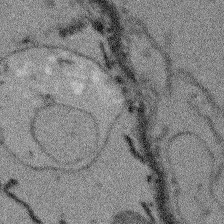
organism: Arabidopsis thaliana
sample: Root tip